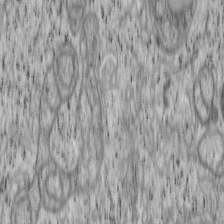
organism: Human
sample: HeLa cells